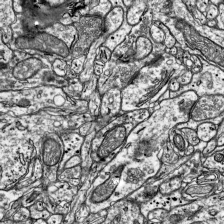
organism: Mouse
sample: Visual Cortex